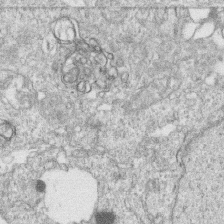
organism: Human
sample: HeLa cell HIV synapse